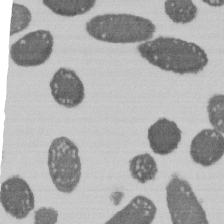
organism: E. coli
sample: Bacterial nucleoid